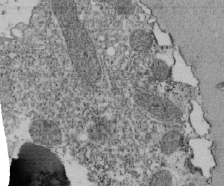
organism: Tetrahymena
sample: Cilia in tetrahymena